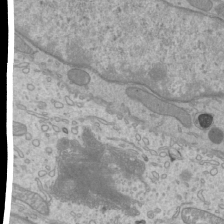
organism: Mouse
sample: Cilia; mouse epididymis